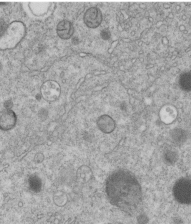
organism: C. elegans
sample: C. elegans embryo early stage